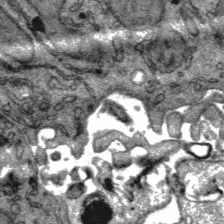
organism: C57BL Mouse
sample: Liver